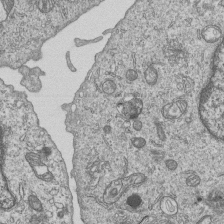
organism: Human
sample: MDA-MB-231 cells